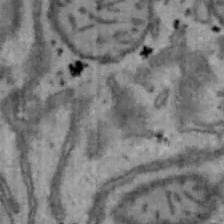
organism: Mouse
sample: Liver